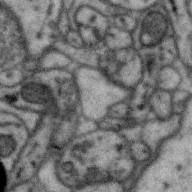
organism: Zebra finch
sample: Brain